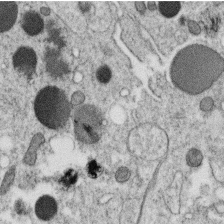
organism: C. elegans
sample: C. elegans oocyte; sperm cells